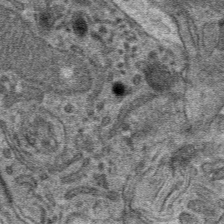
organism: Mouse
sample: Mouse hepatocytes